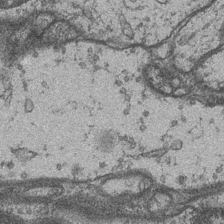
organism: Drosophila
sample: Optic medulla